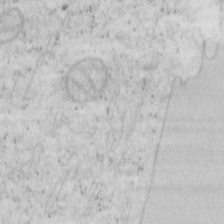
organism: Human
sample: HeLa cells